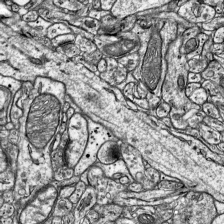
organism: Mouse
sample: Visual Cortex